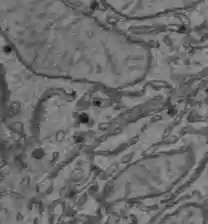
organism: C57BL Mouse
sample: Liver